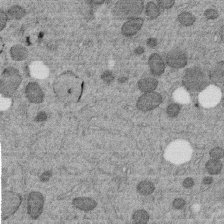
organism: C. elegans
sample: C. elegans embryo early stage